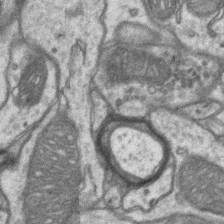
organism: Mouse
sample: CA1 Hippocampus